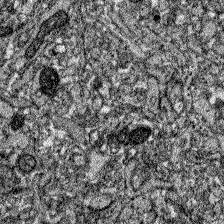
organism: Zebrafish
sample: Larval olfactory bulb